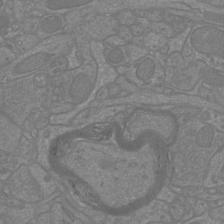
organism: Mouse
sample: Cortical neurons